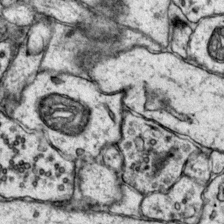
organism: Mouse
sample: Primary visual cortex